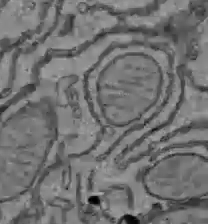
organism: C57BL Mouse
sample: Liver